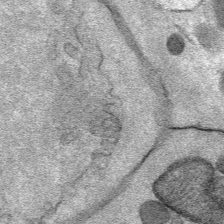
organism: Mouse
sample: Mouse Salivary gland